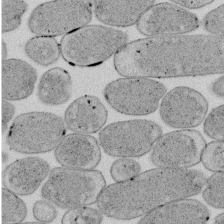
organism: E. coli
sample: Bacterial nucleoid